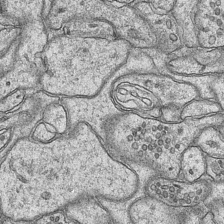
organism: Mouse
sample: CA1 Hippocampus